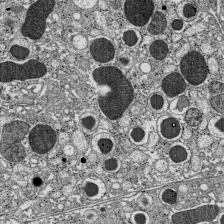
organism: C57BL Mouse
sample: Pancreatic islet